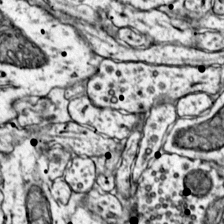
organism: Mouse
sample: Primary visual cortex